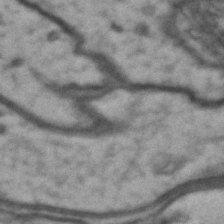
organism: Drosophila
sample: Brain